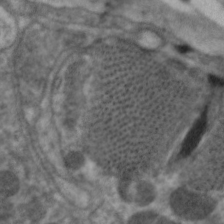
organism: C. elegans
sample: Pharynx